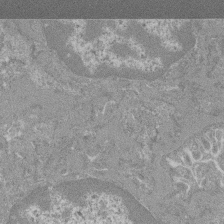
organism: Mouse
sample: Glomerulus